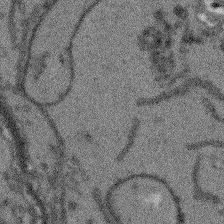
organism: Arabidopsis thaliana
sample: Root tip